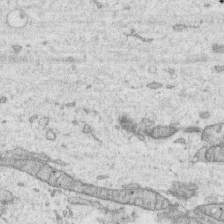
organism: Human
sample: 1205lu cells